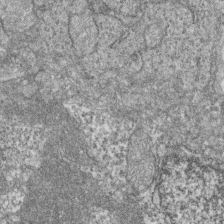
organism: Zebrafish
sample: Cilia; retinal pigment epithelium